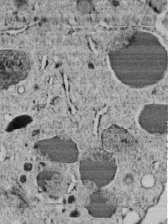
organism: C. elegans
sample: C. elegans embryo early stage